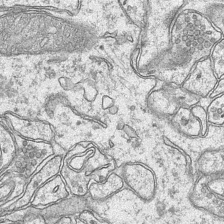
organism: Mouse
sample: CA1 Hippocampus